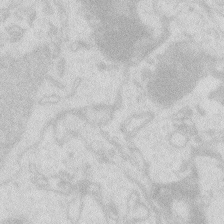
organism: Zebrafish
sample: Macrophage